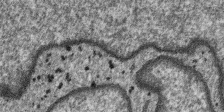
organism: Human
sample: Lung epithelial cells infected with SARS-CoV-2